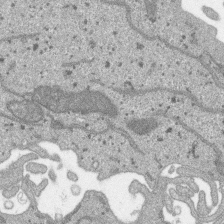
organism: Human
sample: Lung epithelial cells infected with SARS-CoV-2